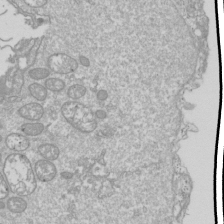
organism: Drosophila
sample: Cell division; meiosis; drosophila spermatocytes